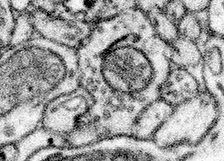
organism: Mouse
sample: Somatosensory cortex neuropil